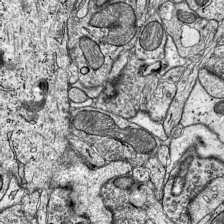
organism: Mouse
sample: Visual Cortex